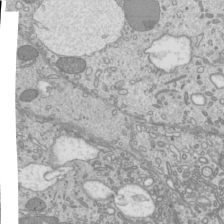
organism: Mouse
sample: Cilia; mouse epididymis